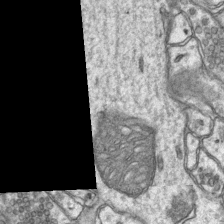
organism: Mouse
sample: CA1 Hippocampus